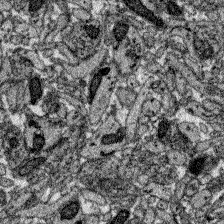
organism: Zebrafish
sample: Larval olfactory bulb